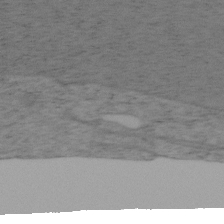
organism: Mouse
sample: OT-I killer T cells with ID8 ovarian cancer cells